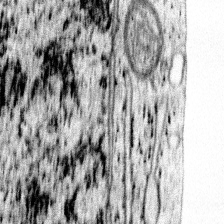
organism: Human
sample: HeLa cells